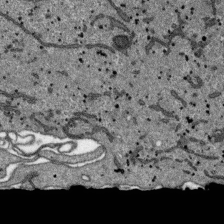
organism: Human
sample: Lung epithelial cells, uninfected (mock) control